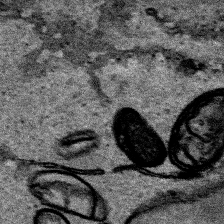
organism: Human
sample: Mitochondria in HCT116 cells